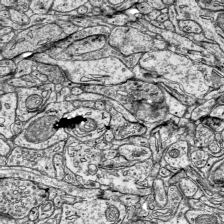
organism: Mouse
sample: Visual Cortex